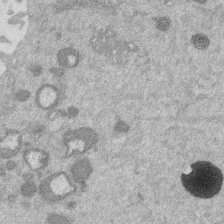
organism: Mouse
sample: Dividing mouse embryo 1 cell stage